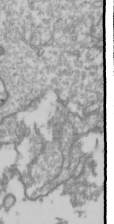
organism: Drosophila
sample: Cell division; meiosis; drosophila spermatocytes